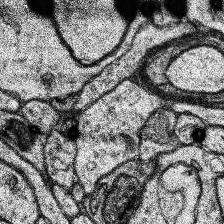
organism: Human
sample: Temporal Lobe